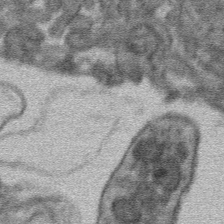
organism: Mouse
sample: Mouse hepatocytes